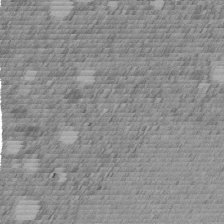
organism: C. elegans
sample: C. elegans embryo early stage